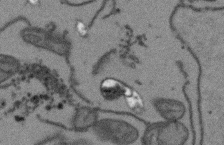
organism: Arabidopsis thaliana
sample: Root tip